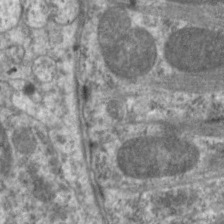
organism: C. elegans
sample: Pharynx